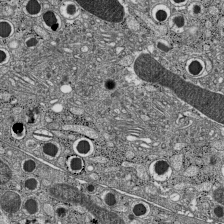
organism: C57BL Mouse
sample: Pancreatic islet